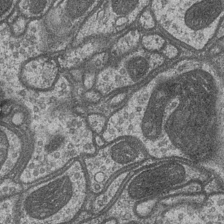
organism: Drosophila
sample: Optic medulla